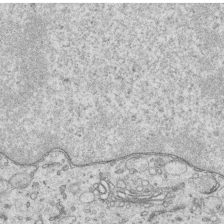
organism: Human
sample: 1205lu cells